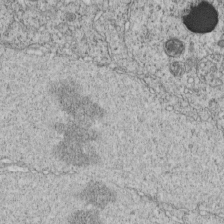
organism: C. elegans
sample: C. elegans embryo early stage